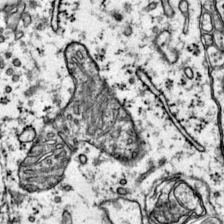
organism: Mouse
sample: Primary visual cortex